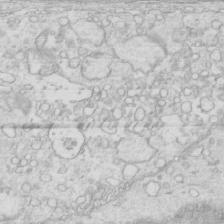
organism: Mouse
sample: Multiciliated cells